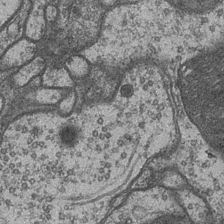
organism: Drosophila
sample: Optic medulla